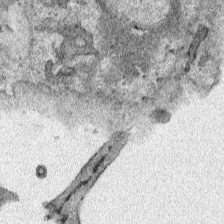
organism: Human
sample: Mitochondria in HCT116 cells